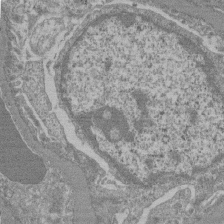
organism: Mouse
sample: Glomerulus